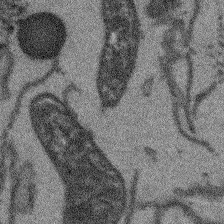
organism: Arabidopsis thaliana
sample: Root tip